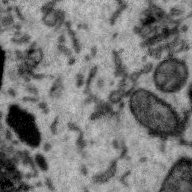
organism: Zebra finch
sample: Brain